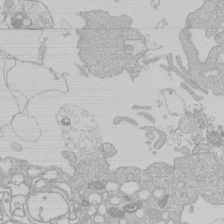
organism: Human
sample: Macrophage cells